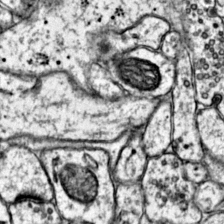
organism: Mouse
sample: Primary visual cortex